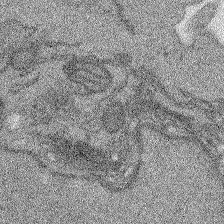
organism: Human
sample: HeLa cells